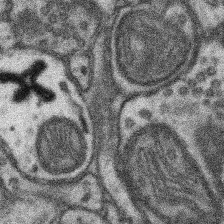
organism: Mouse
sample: Somatosensory cortex neuropil